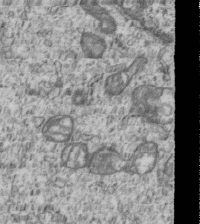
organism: Human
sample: MDA-MB-231 cells